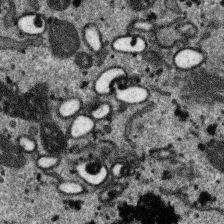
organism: Human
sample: Lung epithelial cells infected with SARS-CoV-2